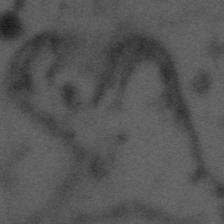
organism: Tuwongella immobilis